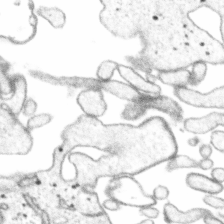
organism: Human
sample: HeLa cells